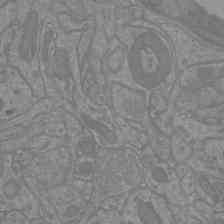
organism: Mouse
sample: Cortical neurons